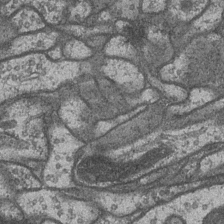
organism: Drosophila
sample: Optic medulla